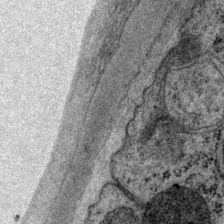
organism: P. pacificus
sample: Pharynx